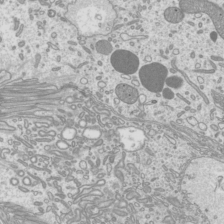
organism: Mouse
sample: Cilia; mouse epididymis